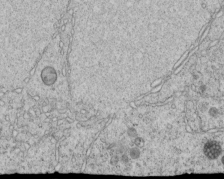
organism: C. elegans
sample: C. elegans embryo early stage